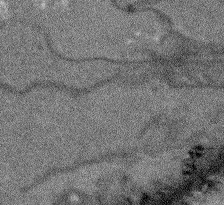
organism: Arabidopsis thaliana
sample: Root tip